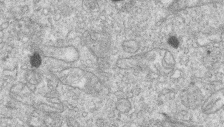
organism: Human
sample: HeLa cell HIV synapse